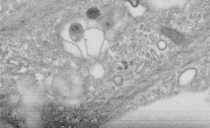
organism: Human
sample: Centriole in fibroblast cells